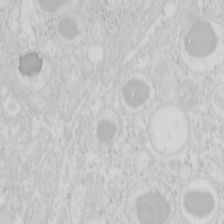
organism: Mouse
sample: Pancreas